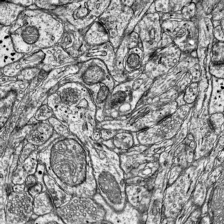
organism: Mouse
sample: Visual Cortex